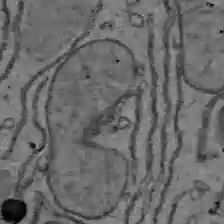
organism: C57BL Mouse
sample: Liver